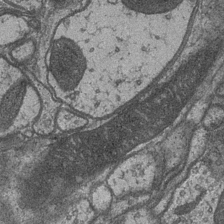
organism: Drosophila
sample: Optic medulla